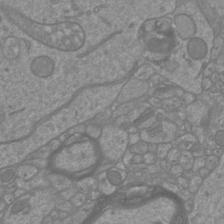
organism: Mouse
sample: Cortical neurons